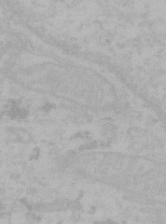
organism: Mouse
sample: Choroid plexus